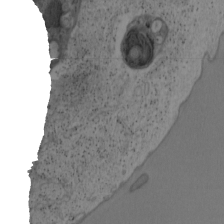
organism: Mouse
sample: OT-I killer T cells with ID8 ovarian cancer cells